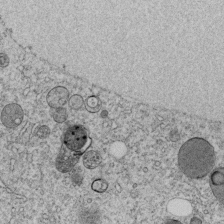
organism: C. elegans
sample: C. elegans embryo early stage